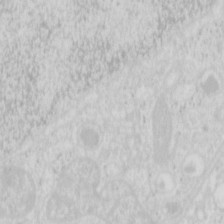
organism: Mouse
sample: Pancreas